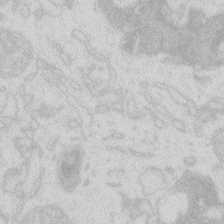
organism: Zebrafish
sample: Macrophage